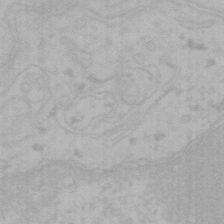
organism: Mouse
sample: Choroid plexus